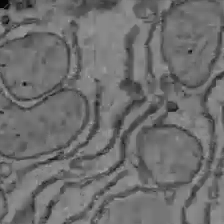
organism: C57BL Mouse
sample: Liver